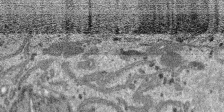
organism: Human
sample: Lung epithelial cells infected with SARS-CoV-2